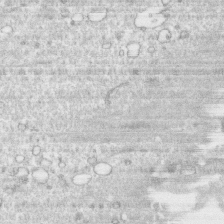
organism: Human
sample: CRL-1474